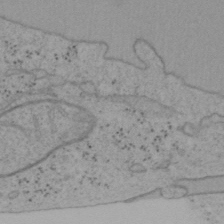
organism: Human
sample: HeLa cells